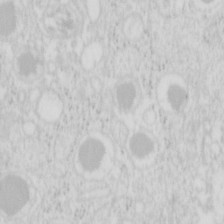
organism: Mouse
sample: Pancreas